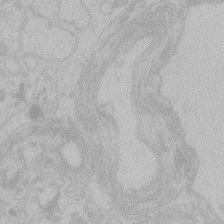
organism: Zebrafish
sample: Macrophage infected with Toxoplasma gondii